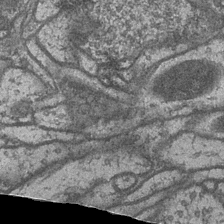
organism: Drosophila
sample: Optic medulla